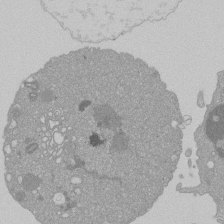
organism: Mouse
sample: Activated Pmel transgenic CD8+ T Cells